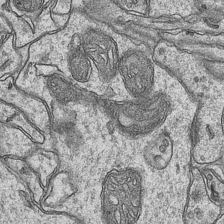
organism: Mouse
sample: CA1 Hippocampus